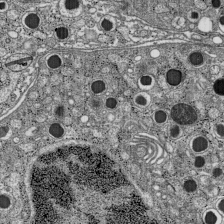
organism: C57BL Mouse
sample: Pancreatic islet